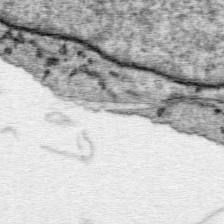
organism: Human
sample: HeLa cells